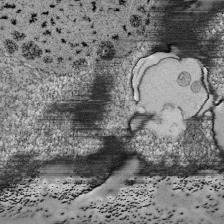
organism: Tetrahymena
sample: Cilia in tetrahymena